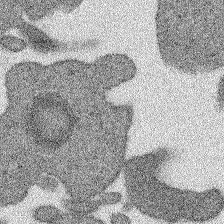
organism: Human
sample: HeLa cells